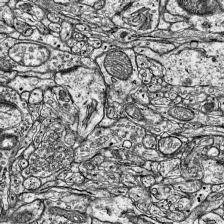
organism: Mouse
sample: Visual Cortex